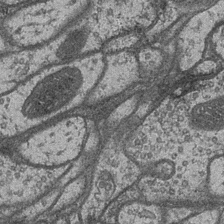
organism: Drosophila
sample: Optic medulla